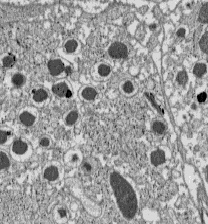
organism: C57BL Mouse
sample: Pancreatic islet